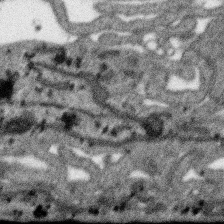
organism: Human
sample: Lung epithelial cells infected with SARS-CoV-2